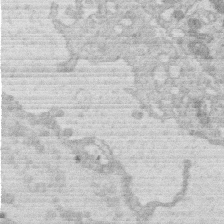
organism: Human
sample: Macrophage cells